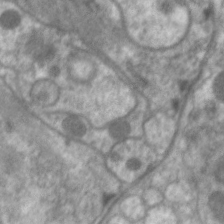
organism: C. elegans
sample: Pharynx